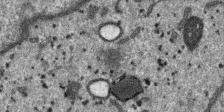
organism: Human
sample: Lung epithelial cells infected with SARS-CoV-2